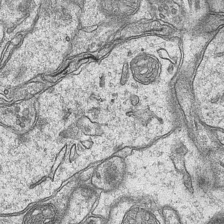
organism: Mouse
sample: CA1 Hippocampus